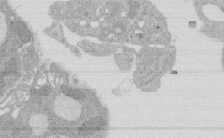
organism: Rat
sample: Salivary granule